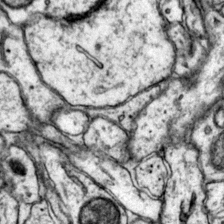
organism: Mouse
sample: Primary visual cortex